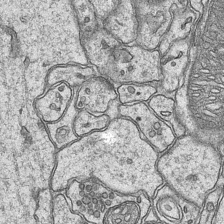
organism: Mouse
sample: CA1 Hippocampus